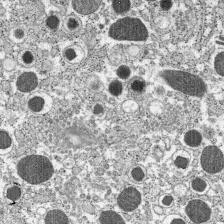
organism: C57BL Mouse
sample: Pancreatic islet